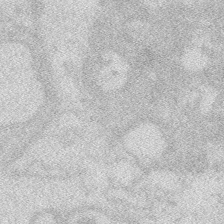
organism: Zebrafish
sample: Macrophage